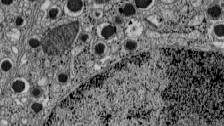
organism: C57BL Mouse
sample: Pancreatic islet